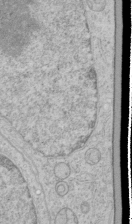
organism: Human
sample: Mitochondria in HCT116 cells